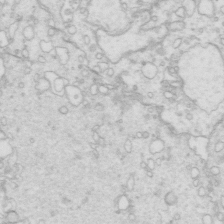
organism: Mouse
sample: Multiciliated cells